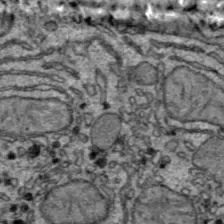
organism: C57BL Mouse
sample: Liver